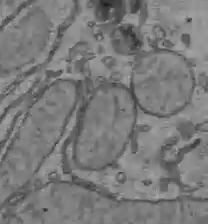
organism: C57BL Mouse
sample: Liver